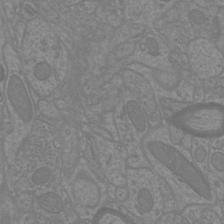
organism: Mouse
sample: Cortical neurons